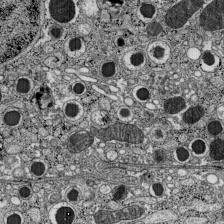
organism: C57BL Mouse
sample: Pancreatic islet